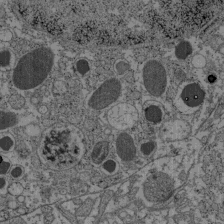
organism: C57BL Mouse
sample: Pancreatic islet